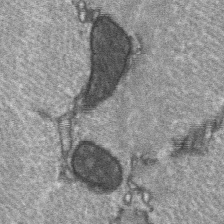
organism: C57BL Mouse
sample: Soleus